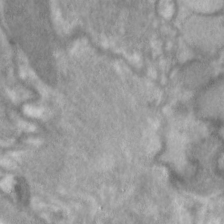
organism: C. elegans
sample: Pharynx